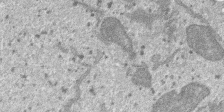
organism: Human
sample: Lung epithelial cells infected with SARS-CoV-2